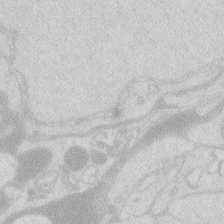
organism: Zebrafish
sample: Macrophage